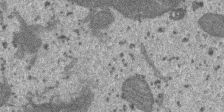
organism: Human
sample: Lung epithelial cells infected with SARS-CoV-2